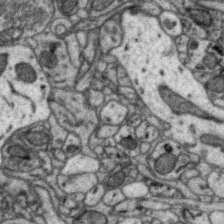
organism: Zebra finch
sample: Brain